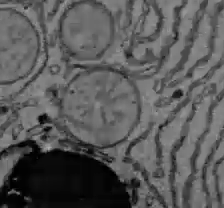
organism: C57BL Mouse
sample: Liver